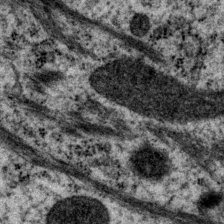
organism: P. pacificus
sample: Pharynx